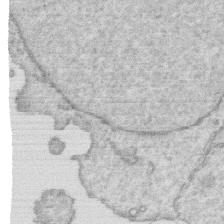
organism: Human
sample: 1205lu cells